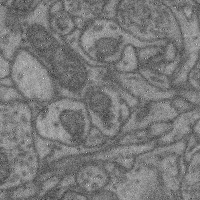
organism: Mouse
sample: Cerebral cortex